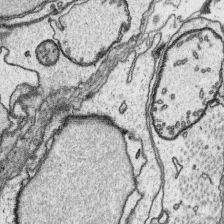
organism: Platynereis dumerilii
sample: Parapodia